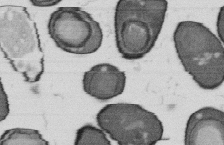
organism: B. subtilis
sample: Bacterial spore